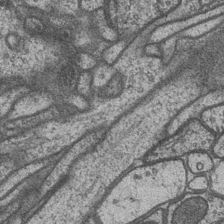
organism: Drosophila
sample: Optic medulla